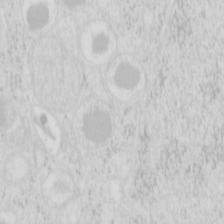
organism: Mouse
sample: Pancreas